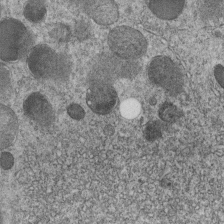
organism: C. elegans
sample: C. elegans embryo early stage